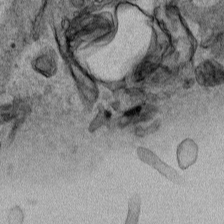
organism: Human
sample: Mitochondria in HCT116 cells